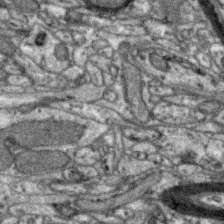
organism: Zebra finch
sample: Brain